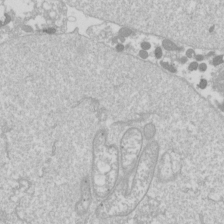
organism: Drosophila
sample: Cell division; meiosis; drosophila spermatocytes